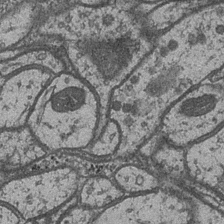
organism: Drosophila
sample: Optic medulla